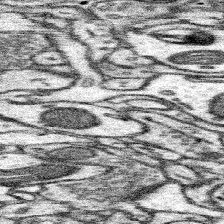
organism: Mouse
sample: Somatosensory cortex neuropil